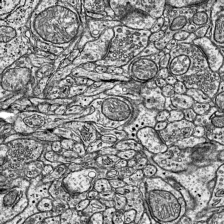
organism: Mouse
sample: Visual Cortex